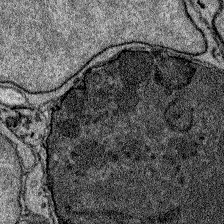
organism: Zebrafish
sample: Larval olfactory bulb